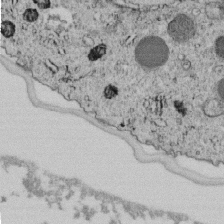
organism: C. elegans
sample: C. elegans embryo early stage